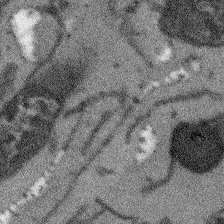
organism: Arabidopsis thaliana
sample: Root tip